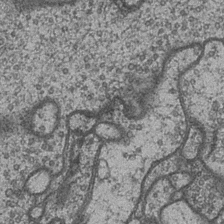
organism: Drosophila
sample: Optic medulla